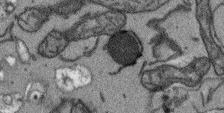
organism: Arabidopsis thaliana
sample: Root tip